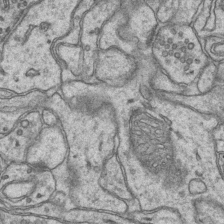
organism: Mouse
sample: CA1 Hippocampus